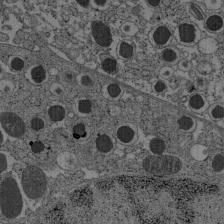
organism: C57BL Mouse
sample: Pancreatic islet